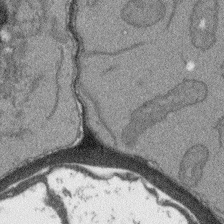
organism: Arabidopsis thaliana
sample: Root tip